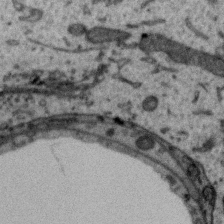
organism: Zebra finch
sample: Brain